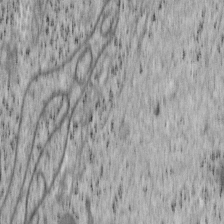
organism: Human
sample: HeLa cells